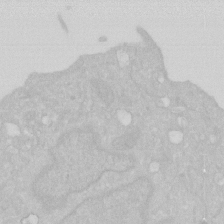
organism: Human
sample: HIV infected U937 cells